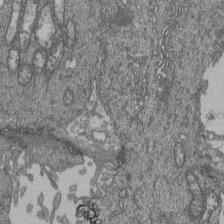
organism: Human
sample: Retinal organoid Rod and Cone cells